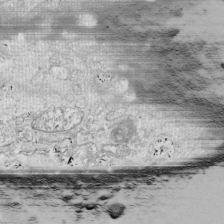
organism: Drosophila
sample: Cell division; meiosis; drosophila spermatocytes